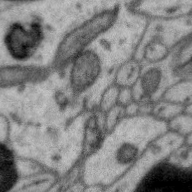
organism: Zebra finch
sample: Brain